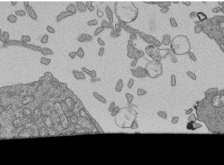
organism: Human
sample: Retinal organoid Rod and Cone cells